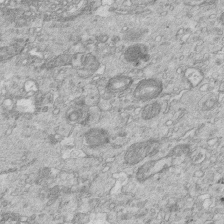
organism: Mouse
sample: Multiciliated cells